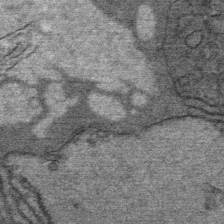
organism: Mouse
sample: Mouse Salivary gland